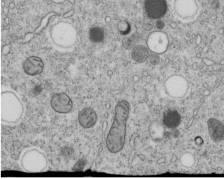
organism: C. elegans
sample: C. elegans embryo early stage